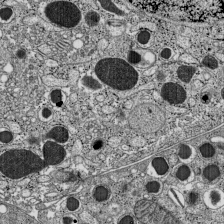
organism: C57BL Mouse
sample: Pancreatic islet